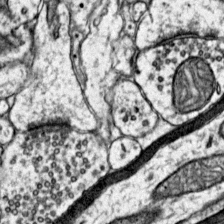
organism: Mouse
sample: Primary visual cortex